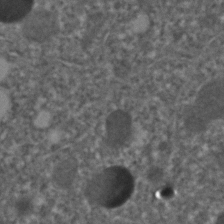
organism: C. elegans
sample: C. elegans embryo